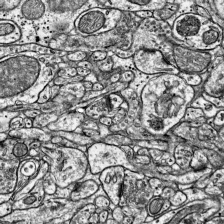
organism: Mouse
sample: Visual Cortex